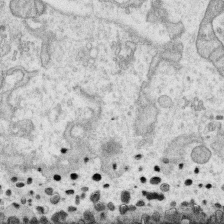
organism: Human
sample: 1205lu cells